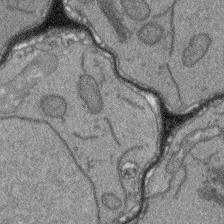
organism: Arabidopsis thaliana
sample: Root tip